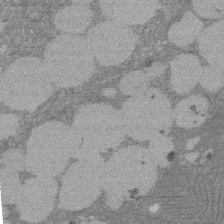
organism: Rat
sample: Salivary granule